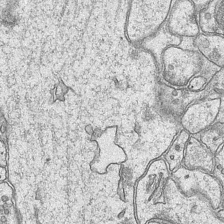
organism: Mouse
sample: CA1 Hippocampus